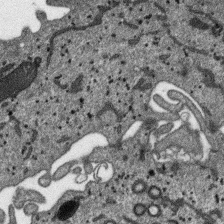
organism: Human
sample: Lung epithelial cells infected with SARS-CoV-2